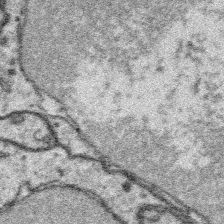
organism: Platynereis dumerilii